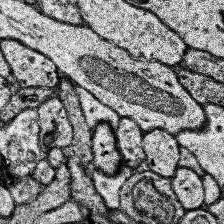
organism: Human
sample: Temporal Lobe